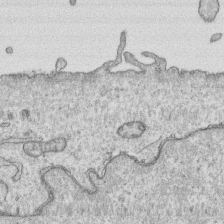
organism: Human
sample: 1205lu cells